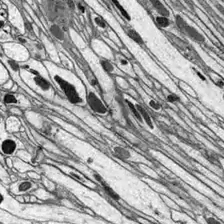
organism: Drosophila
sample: Optic lobe